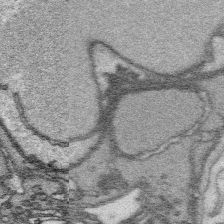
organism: Platynereis dumerilii